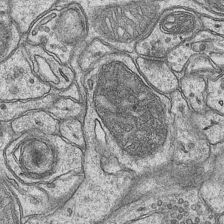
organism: Mouse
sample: CA1 Hippocampus